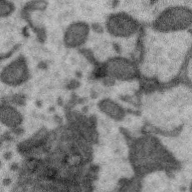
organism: Zebra finch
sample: Brain